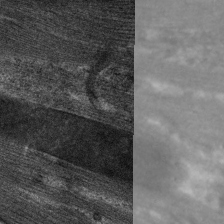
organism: C. elegans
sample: Pharynx